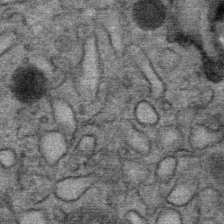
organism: Mouse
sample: Mouse Salivary gland